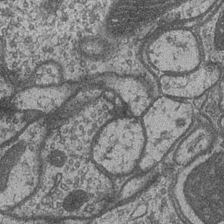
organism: Drosophila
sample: Optic medulla